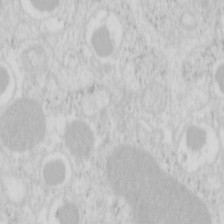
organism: Mouse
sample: Pancreas